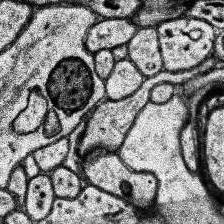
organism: Human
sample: Temporal Lobe